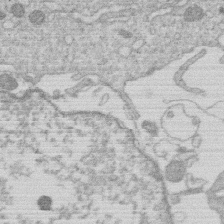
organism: Human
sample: Macrophage cells